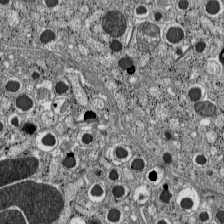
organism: C57BL Mouse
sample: Pancreatic islet